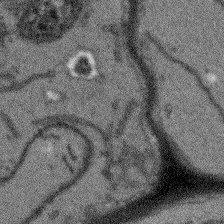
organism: Arabidopsis thaliana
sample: Root tip